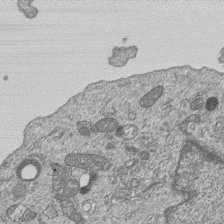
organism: Human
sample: MDA-MB-231 cells